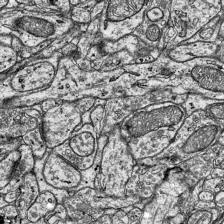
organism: Mouse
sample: Visual Cortex